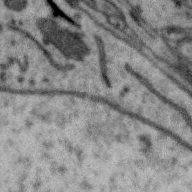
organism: Zebra finch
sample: Brain